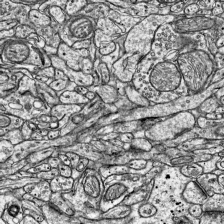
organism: Mouse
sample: Visual Cortex